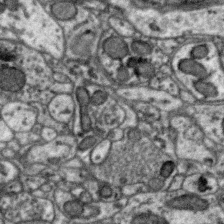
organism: Zebra finch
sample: Brain